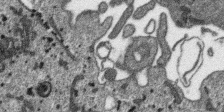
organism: Human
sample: Lung epithelial cells infected with SARS-CoV-2